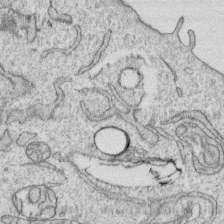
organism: Human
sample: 1205lu cells